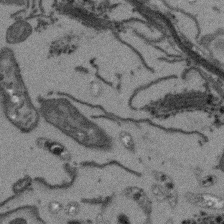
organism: Arabidopsis thaliana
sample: Root tip